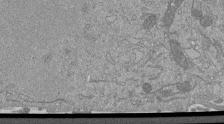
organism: Mouse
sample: ED-1 cell nuclei; centrioles